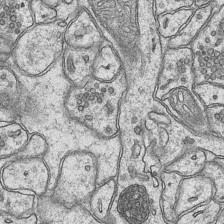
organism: Mouse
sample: CA1 Hippocampus